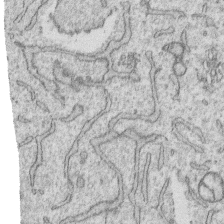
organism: Human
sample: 1205lu cells